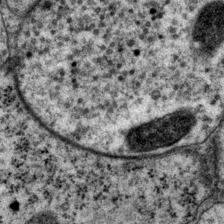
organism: P. pacificus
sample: Pharynx